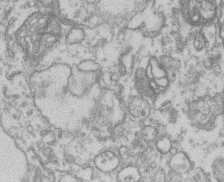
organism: Mouse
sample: T cell stromal cell synapse